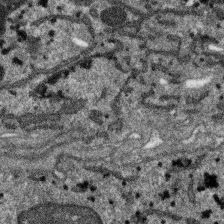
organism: Human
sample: Lung epithelial cells infected with SARS-CoV-2